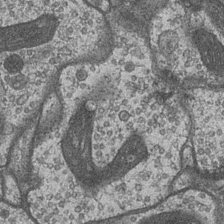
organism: Drosophila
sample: Optic medulla